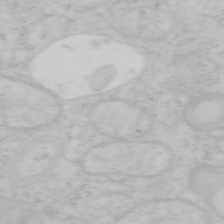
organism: Mouse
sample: OT-I killer T cells with ID8 ovarian cancer cells